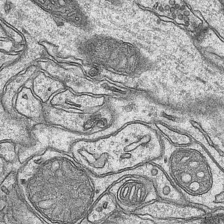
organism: Mouse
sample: CA1 Hippocampus